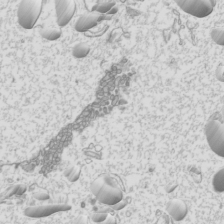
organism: Mouse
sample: Cilia; mouse epididymis